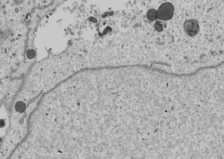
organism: Human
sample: Mitochondria in U2OS cells